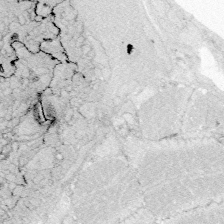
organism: Zebrafish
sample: Whole-Brain